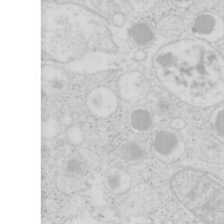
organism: Mouse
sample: Pancreas